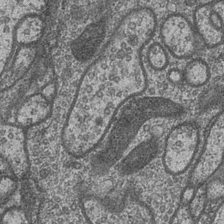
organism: Drosophila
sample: Optic medulla